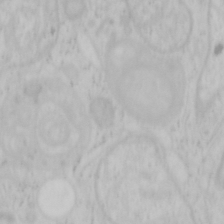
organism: Mouse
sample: OT-I killer T cells with ID8 ovarian cancer cells